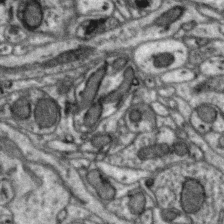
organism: Zebra finch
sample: Brain